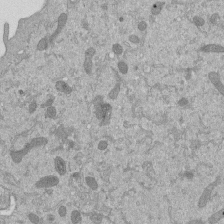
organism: Mouse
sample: ED-1 cell nuclei; centrioles